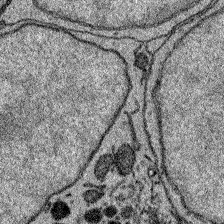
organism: Zebrafish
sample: Larval olfactory bulb